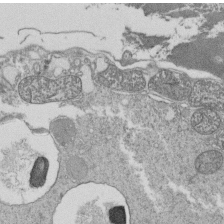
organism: Tetrahymena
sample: Cilia in tetrahymena